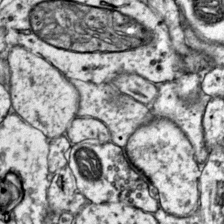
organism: Mouse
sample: Primary visual cortex